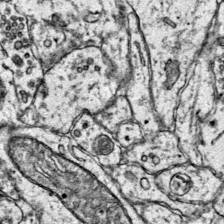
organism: Mouse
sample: Primary visual cortex